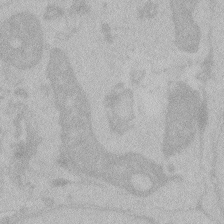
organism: Zebrafish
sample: Macrophage infected with Toxoplasma gondii